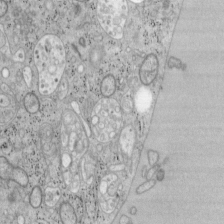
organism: Mouse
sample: OT-I killer T cells with ID8 ovarian cancer cells